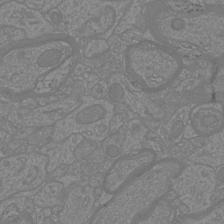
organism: Mouse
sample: Cortical neurons